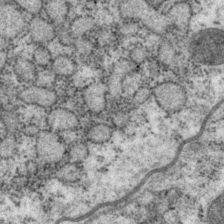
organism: P. pacificus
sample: Pharynx